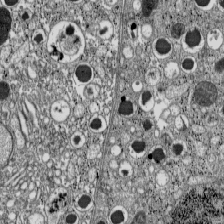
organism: C57BL Mouse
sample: Pancreatic islet